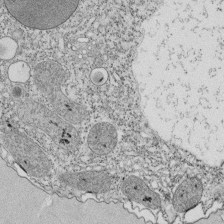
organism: Tetrahymena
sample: Cilia in tetrahymena